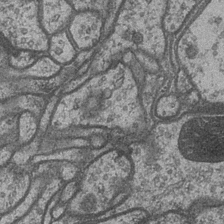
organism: Drosophila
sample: Optic medulla